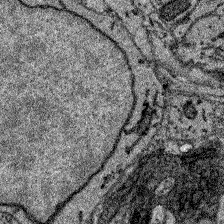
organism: Zebrafish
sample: Larval olfactory bulb